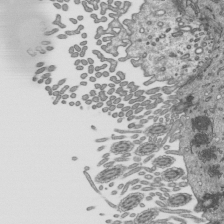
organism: Mouse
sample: Mouse epididymis efferent ductule cilia